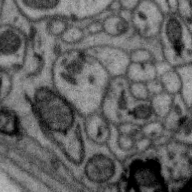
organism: Zebra finch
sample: Brain